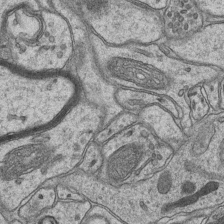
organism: Mouse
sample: CA1 Hippocampus